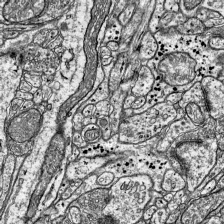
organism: Mouse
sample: Visual Cortex